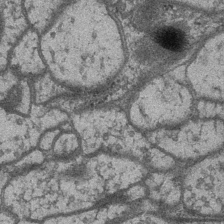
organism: Drosophila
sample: Optic medulla